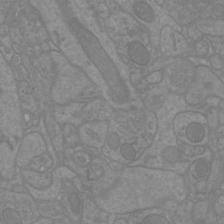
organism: Mouse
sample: Cortical neurons